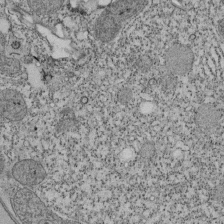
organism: Tetrahymena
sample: Cilia in tetrahymena